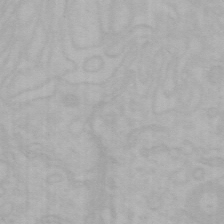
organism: Mouse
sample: Choroid plexus